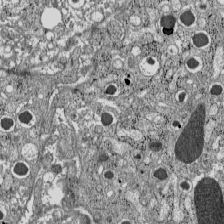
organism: C57BL Mouse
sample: Pancreatic islet